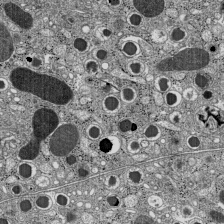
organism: C57BL Mouse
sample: Pancreatic islet